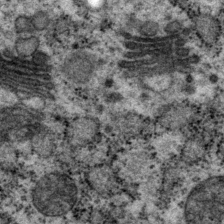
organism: P. pacificus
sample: Pharynx